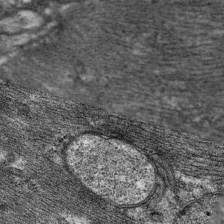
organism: C. elegans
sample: Pharynx